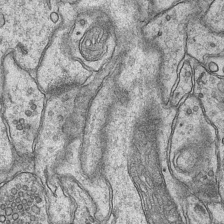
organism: Mouse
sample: CA1 Hippocampus